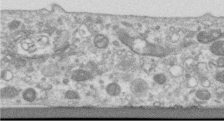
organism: Human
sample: Centriole in RPE cells